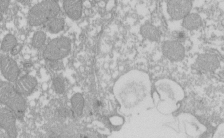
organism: Xenopus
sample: Cilia; centrioles in frog embryo cells